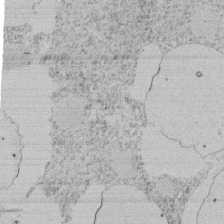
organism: Tetrahymena